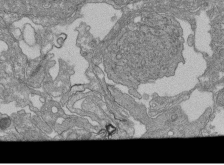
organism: Human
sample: Retinal organoid Rod and Cone cells